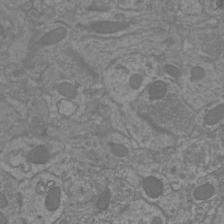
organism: Mouse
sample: Cortical neurons